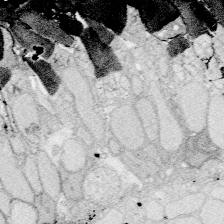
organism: Zebrafish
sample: Whole-Brain